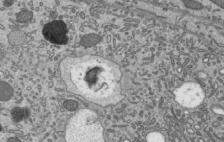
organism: Mouse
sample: Mouse epididymis efferent ductule cilia